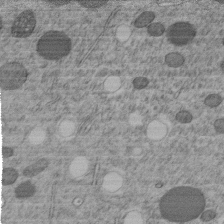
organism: C. elegans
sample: C. elegans embryo early stage